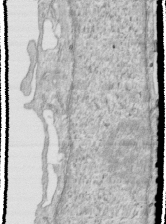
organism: Human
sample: Centriole in RPE cells